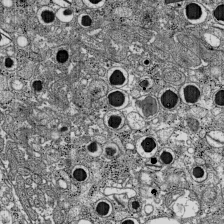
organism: C57BL Mouse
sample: Pancreatic islet